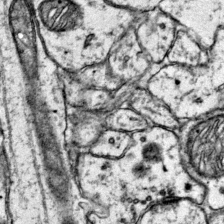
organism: Mouse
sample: Primary visual cortex